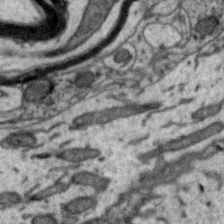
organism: Zebra finch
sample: Brain